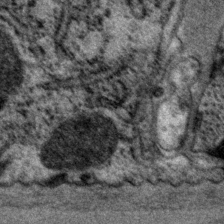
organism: P. pacificus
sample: Pharynx